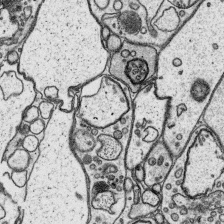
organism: Platynereis dumerilii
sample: Parapodia